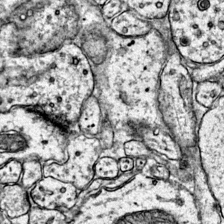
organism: Mouse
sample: Primary visual cortex